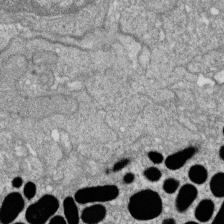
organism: Zebrafish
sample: Cilia; retinal pigment epithelium